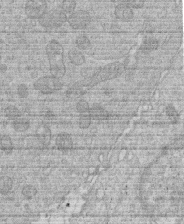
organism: Human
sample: Macrophage cells